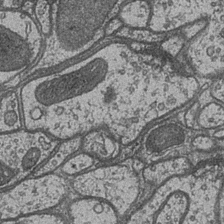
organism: Drosophila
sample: Optic medulla